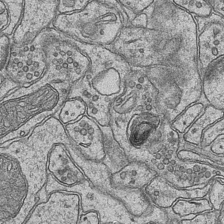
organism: Mouse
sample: CA1 Hippocampus